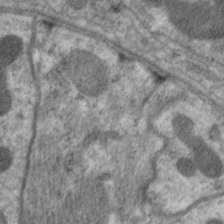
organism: C. elegans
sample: Pharynx